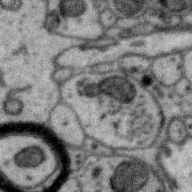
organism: Zebra finch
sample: Brain